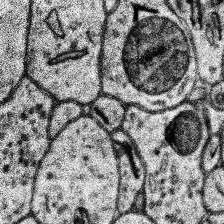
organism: Human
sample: Temporal Lobe